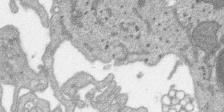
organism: Human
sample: Lung epithelial cells infected with SARS-CoV-2